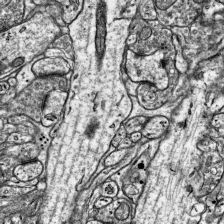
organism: Mouse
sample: Visual Cortex